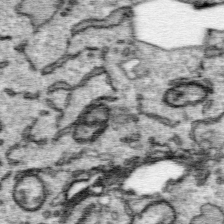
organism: Human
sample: HeLa cells